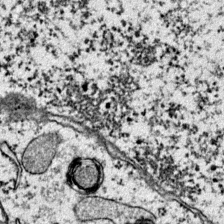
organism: Mouse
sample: Primary visual cortex